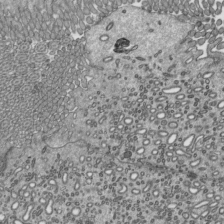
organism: Mouse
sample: Mouse epididymis efferent ductule cilia